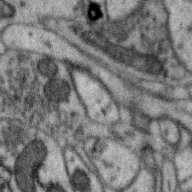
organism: Zebra finch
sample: Brain